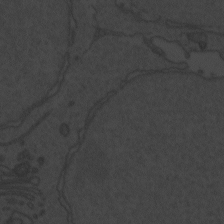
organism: Zebrafish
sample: Macrophage infected with Toxoplasma gondii